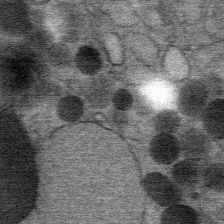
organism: Mouse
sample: Mouse Salivary gland